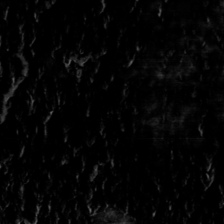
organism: Toxoplasma gondii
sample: Parasites in a vacuole inside a host cell